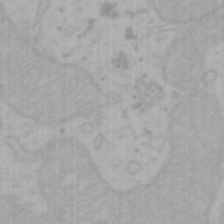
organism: Mouse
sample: Choroid plexus